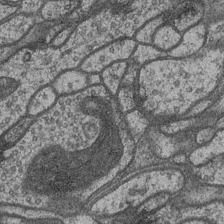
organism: Drosophila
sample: Optic medulla